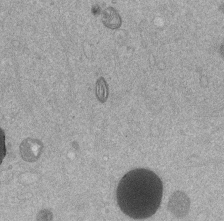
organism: Mouse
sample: Dividing mouse embryo 1 cell stage